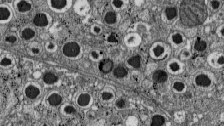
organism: C57BL Mouse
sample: Pancreatic islet